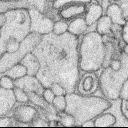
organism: Rabbit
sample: Retina